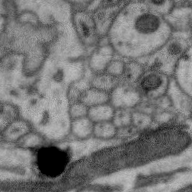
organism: Zebra finch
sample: Brain